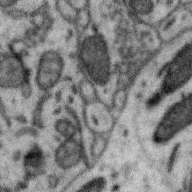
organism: Zebra finch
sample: Brain